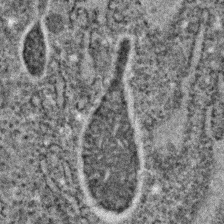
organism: C. elegans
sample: C. elegans embryo